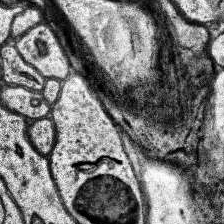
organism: Human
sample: Temporal Lobe